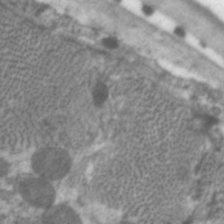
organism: C. elegans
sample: Pharynx